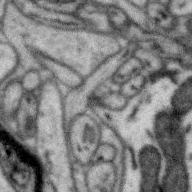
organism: Zebra finch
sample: Brain